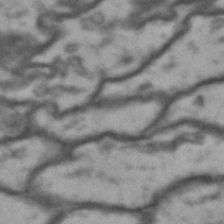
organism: Drosophila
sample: Brain